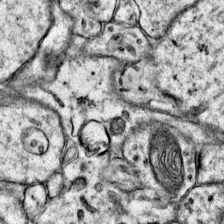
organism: Mouse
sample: Primary visual cortex